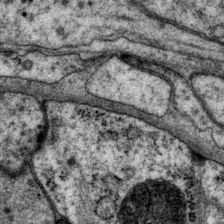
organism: P. pacificus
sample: Pharynx